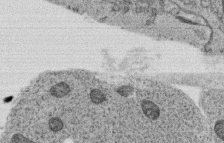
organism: C. elegans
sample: C. elegans oocyte; sperm cells